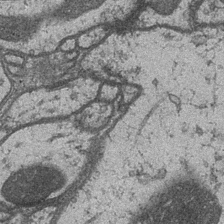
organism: Drosophila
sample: Optic medulla